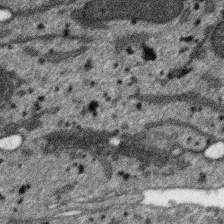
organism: Human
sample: Lung epithelial cells infected with SARS-CoV-2